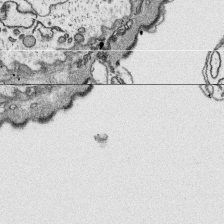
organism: Platynereis dumerilii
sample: Parapodia